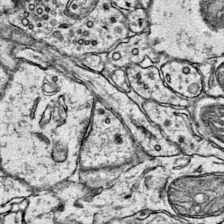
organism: Mouse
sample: Primary visual cortex